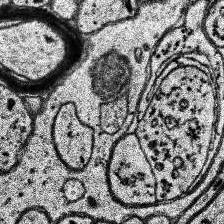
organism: Human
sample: Temporal Lobe